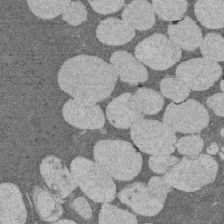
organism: Rat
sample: Salivary granule